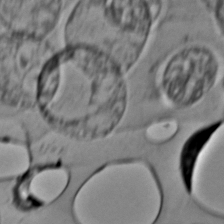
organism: C. elegans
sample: C. elegans embryo